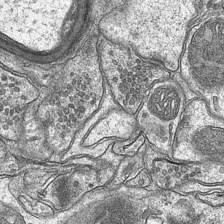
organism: Mouse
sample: CA1 Hippocampus